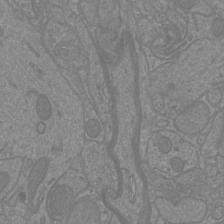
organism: Mouse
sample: Cortical neurons